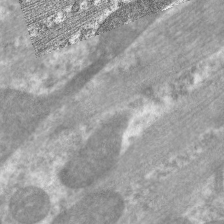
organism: C. elegans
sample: Pharynx